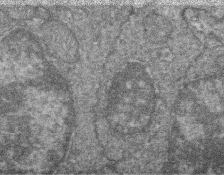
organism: Zebrafish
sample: Cilia; retinal pigment epithelium